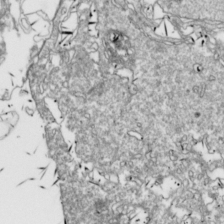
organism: Drosophila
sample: Cell division; meiosis; drosophila spermatocytes